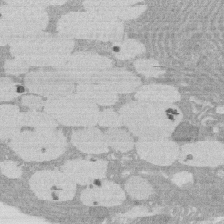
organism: Rat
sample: Salivary granule